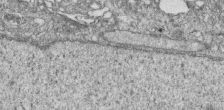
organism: Human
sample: HeLa cell HIV synapse